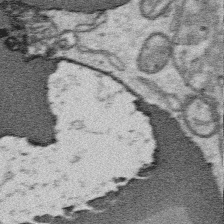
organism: Platynereis dumerilii